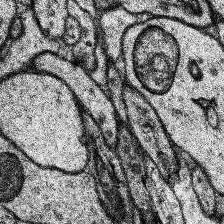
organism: Human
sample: Temporal Lobe